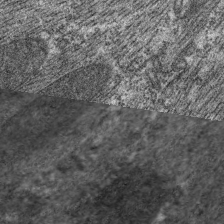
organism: C. elegans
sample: Pharynx